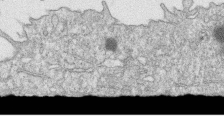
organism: Human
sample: HeLa cell HIV synapse